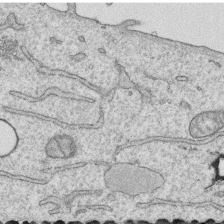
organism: Human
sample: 1205lu cells